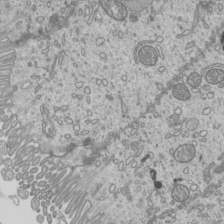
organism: Mouse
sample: Cilia; mouse epididymis